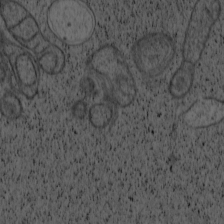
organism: African green monkey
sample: COS-7 cells